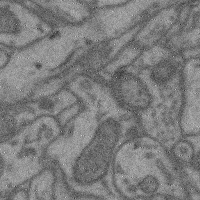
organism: Mouse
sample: Cerebral cortex